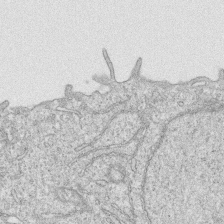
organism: Human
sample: HeLa cell HIV synapse